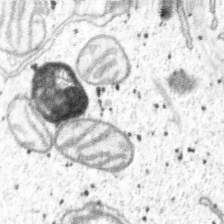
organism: Human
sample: HeLa cells